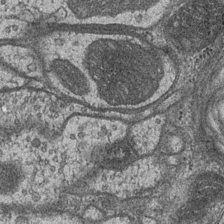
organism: Drosophila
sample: Optic medulla